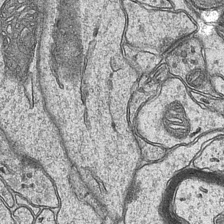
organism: Mouse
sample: CA1 Hippocampus